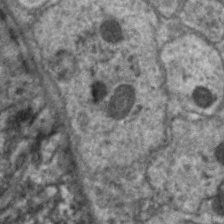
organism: C. elegans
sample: Pharynx